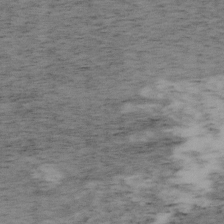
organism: Mouse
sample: OT-I killer T cells with ID8 ovarian cancer cells